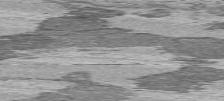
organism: C57BL Mouse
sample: Heart